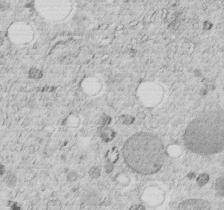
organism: C. elegans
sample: C. elegans embryo early stage